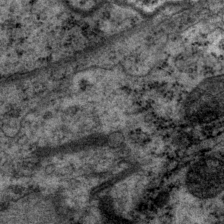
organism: P. pacificus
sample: Pharynx